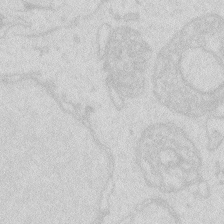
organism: Zebrafish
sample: Macrophage